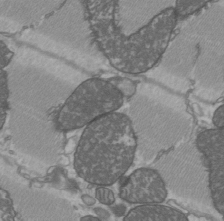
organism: C57BL Mouse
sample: Heart